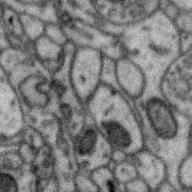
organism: Zebra finch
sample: Brain